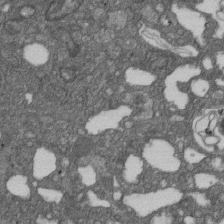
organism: Drosophila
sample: Nephrocyte